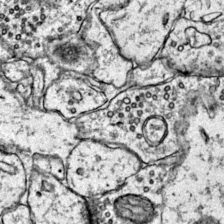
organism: Mouse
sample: Primary visual cortex